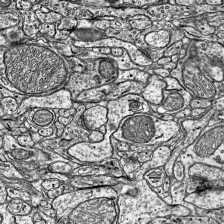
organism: Mouse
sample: Visual Cortex